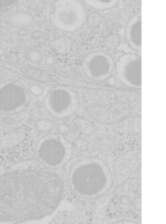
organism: Mouse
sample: Pancreas